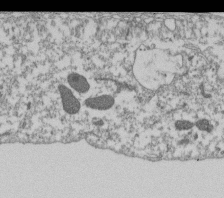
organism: Dictyostelium discoideum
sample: Dictyostelium multivesicular bodies